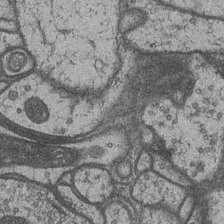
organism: Drosophila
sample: Optic medulla